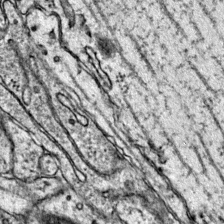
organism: Mouse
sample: Primary visual cortex